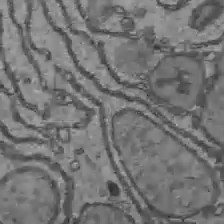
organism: C57BL Mouse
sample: Liver